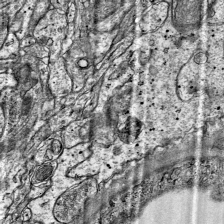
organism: Mouse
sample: Visual Cortex